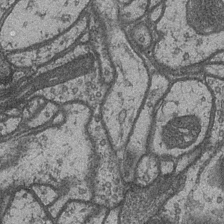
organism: Drosophila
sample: Optic medulla